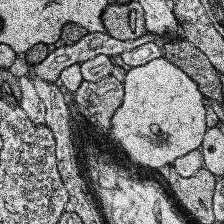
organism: Human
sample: Temporal Lobe